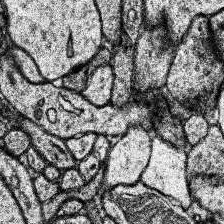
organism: Human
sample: Temporal Lobe